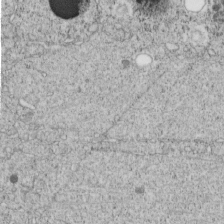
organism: C. elegans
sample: C. elegans embryo early stage